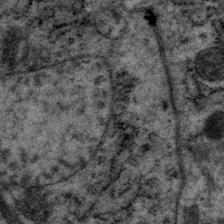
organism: P. pacificus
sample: Pharynx